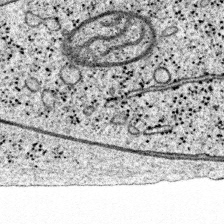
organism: Human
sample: HeLa cells